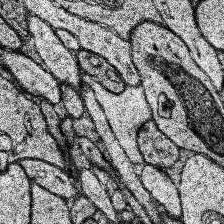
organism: Human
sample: Temporal Lobe